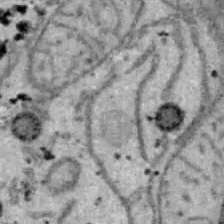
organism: Mouse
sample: Liver from an obese (ob/ob) mouse